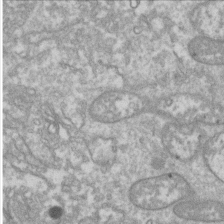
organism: Drosophila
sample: Cell division; meiosis; drosophila spermatocytes